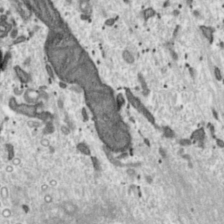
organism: Toxoplasma gondii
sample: Parasites in a vacuole inside a host cell